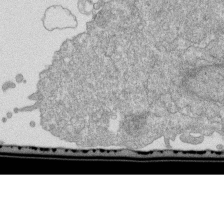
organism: Human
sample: HeLa cell HIV synapse